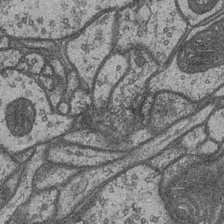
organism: Drosophila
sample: Optic medulla